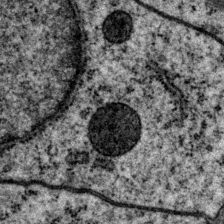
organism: P. pacificus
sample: Pharynx